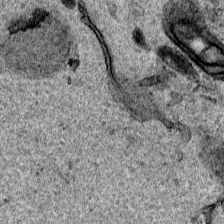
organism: Human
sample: Mitochondria in HCT116 cells